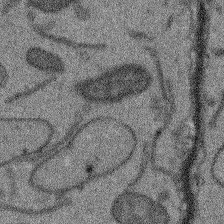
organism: Arabidopsis thaliana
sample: Root tip